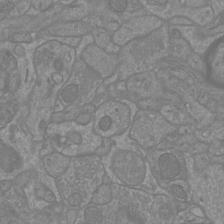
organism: Mouse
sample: Cortical neurons